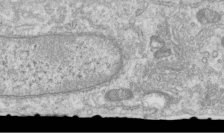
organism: Human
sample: Centriole in RPE cells